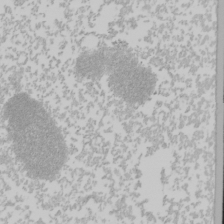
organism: Mouse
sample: Cancer cell death in ED-1 cells